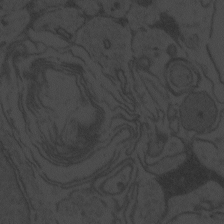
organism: Zebrafish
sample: Macrophage infected with Toxoplasma gondii